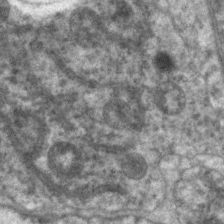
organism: C. elegans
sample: Pharynx